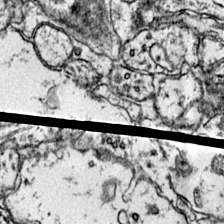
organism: Mouse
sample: Primary visual cortex